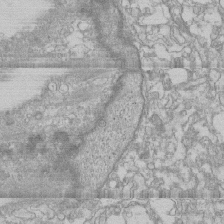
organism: Human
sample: CRL-1474